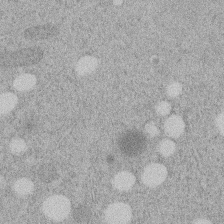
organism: C. elegans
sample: C. elegans embryo early stage